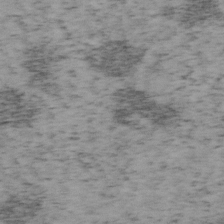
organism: Mouse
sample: OT-I killer T cells with ID8 ovarian cancer cells